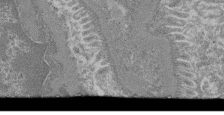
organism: Mouse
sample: Glomerulus